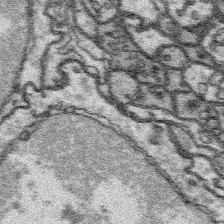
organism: Platynereis dumerilii